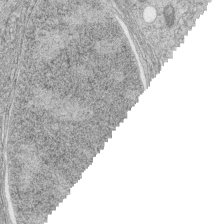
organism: Zebrafish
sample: synaptic ribbons in rod cells and cone cells